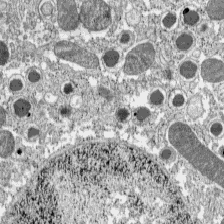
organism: C57BL Mouse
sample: Pancreatic islet